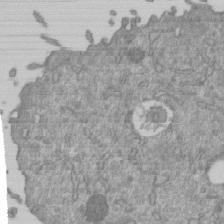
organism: Mouse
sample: ED-1 cell nuclei; centrioles